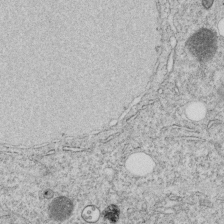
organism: C. elegans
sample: C. elegans embryo early stage